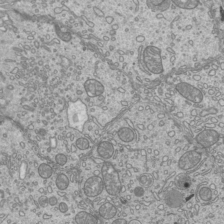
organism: Mouse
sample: Cilia; mouse epididymis